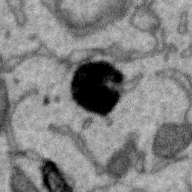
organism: Zebra finch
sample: Brain